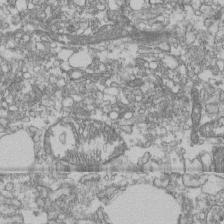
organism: Human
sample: Fibroblast cells